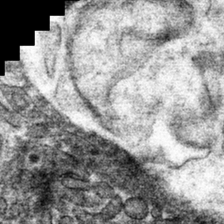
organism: Mouse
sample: Mouse hepatocytes